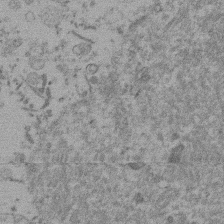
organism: Mouse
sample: Dividing mouse embryo 1 cell stage